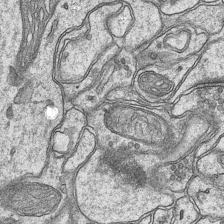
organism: Mouse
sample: CA1 Hippocampus